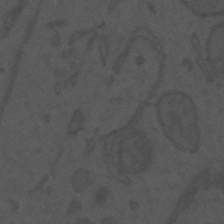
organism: Mouse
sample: Suprachiasmatic nucleus